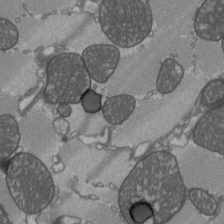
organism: C57BL Mouse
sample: Heart